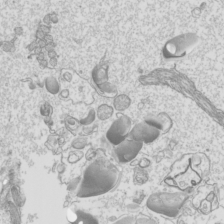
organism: Mouse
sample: Cilia; mouse epididymis